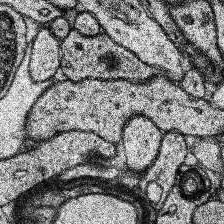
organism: Human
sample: Temporal Lobe